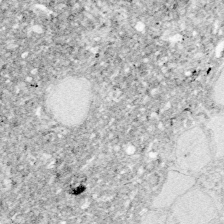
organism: Zebrafish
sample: Whole-Brain